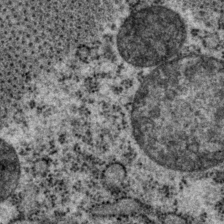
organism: P. pacificus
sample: Pharynx